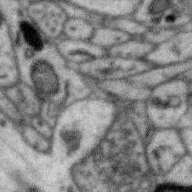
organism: Zebra finch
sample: Brain